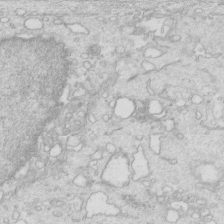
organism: Mouse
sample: Multiciliated cells